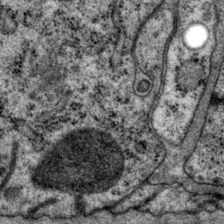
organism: P. pacificus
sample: Pharynx